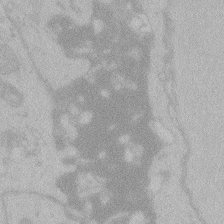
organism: Zebrafish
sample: Macrophage infected with Toxoplasma gondii